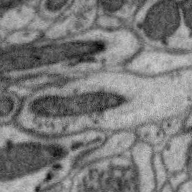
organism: Zebra finch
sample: Brain